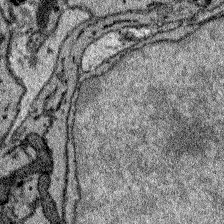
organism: Zebrafish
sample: Larval olfactory bulb